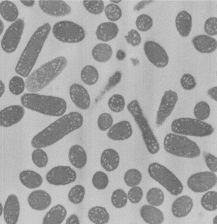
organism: E. coli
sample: Bacterial nucleoid